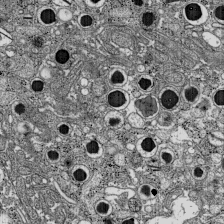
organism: C57BL Mouse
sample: Pancreatic islet